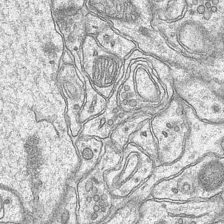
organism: Mouse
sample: CA1 Hippocampus